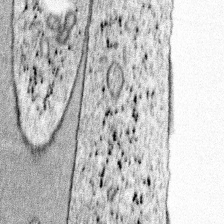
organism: Human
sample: HeLa cells